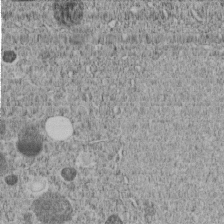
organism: C. elegans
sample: C. elegans embryo early stage